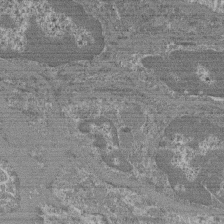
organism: Mouse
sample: Glomerulus